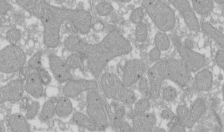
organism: Xenopus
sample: Cilia; centrioles in frog embryo cells